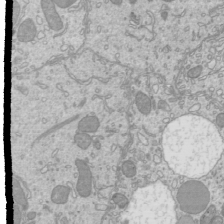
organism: Mouse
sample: Cilia; mouse epididymis